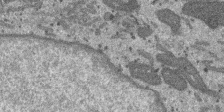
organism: Human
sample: Lung epithelial cells infected with SARS-CoV-2